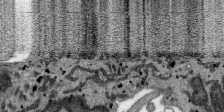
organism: Human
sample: Lung epithelial cells, uninfected (mock) control